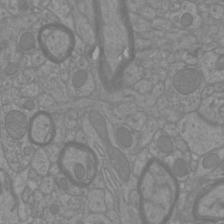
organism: Mouse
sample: Cortical neurons